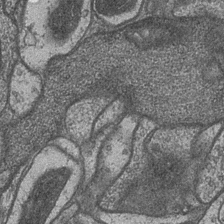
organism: Drosophila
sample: Optic medulla